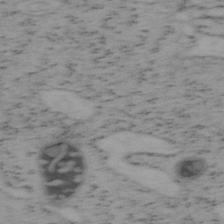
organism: Mouse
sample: OT-I killer T cells with ID8 ovarian cancer cells